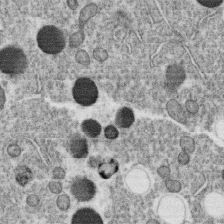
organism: C. elegans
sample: C. elegans oocyte; sperm cells